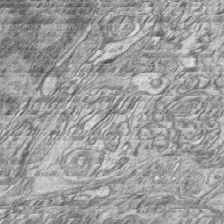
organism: Zebrafish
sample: synaptic ribbons in rod cells and cone cells